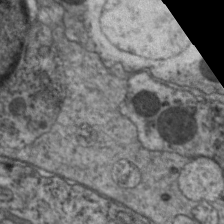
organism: C. elegans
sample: Pharynx